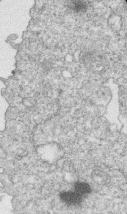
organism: Human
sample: HeLa cell HIV synapse